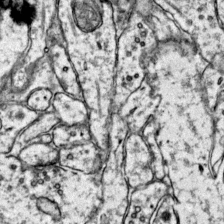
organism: Mouse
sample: Primary visual cortex